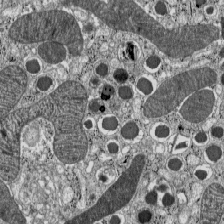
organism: C57BL Mouse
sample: Pancreatic islet